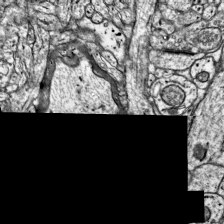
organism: Mouse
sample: Visual Cortex